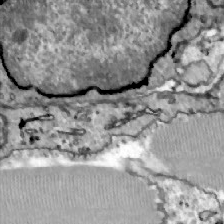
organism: Zebrafish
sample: Actinotrichia fibers